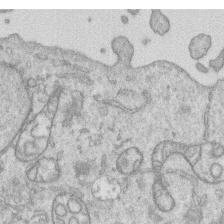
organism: Human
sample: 1205lu cells